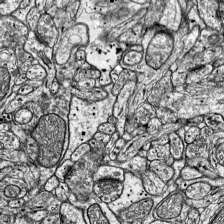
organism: Mouse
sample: Visual Cortex